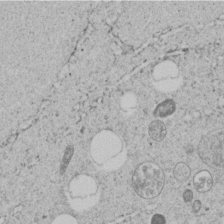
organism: C. elegans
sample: C. elegans embryo early stage